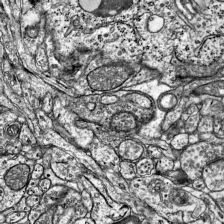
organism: Mouse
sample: Visual Cortex